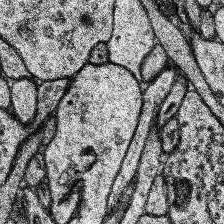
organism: Human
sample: Temporal Lobe